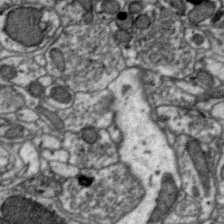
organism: Zebra finch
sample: Brain